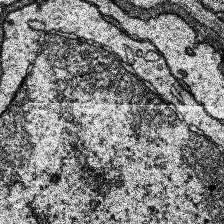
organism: Human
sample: Temporal Lobe